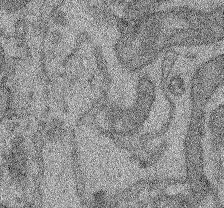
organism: Human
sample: HeLa cells